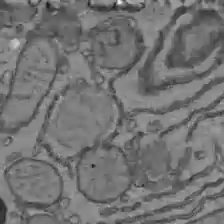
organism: C57BL Mouse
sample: Liver